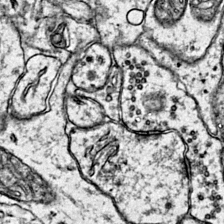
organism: Mouse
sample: Primary visual cortex